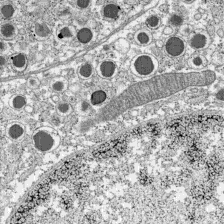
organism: C57BL Mouse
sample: Pancreatic islet